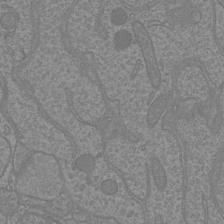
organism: Mouse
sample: Cortical neurons